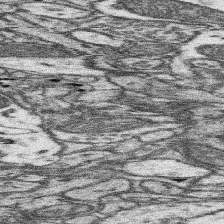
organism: Mouse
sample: Somatosensory cortex neuropil